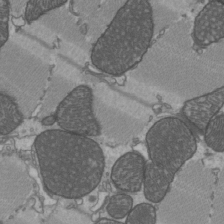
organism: C57BL Mouse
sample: Heart